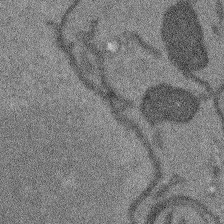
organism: Arabidopsis thaliana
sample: Root tip